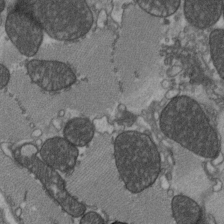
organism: C57BL Mouse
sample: Heart